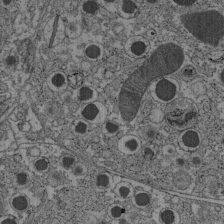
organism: C57BL Mouse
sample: Pancreatic islet